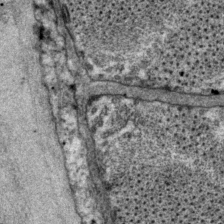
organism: P. pacificus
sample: Pharynx